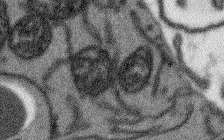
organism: Arabidopsis thaliana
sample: Root tip